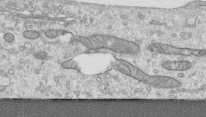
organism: Human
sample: Centriole in RPE cells